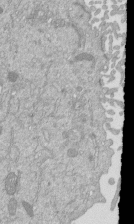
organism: Mouse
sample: ED-1 cell nuclei; centrioles